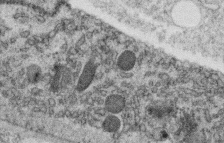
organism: C. elegans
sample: C. elegans oocyte; sperm cells